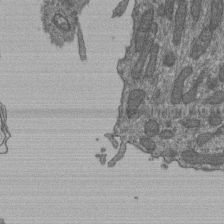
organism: Human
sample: Retinal organoid Rod and Cone cells